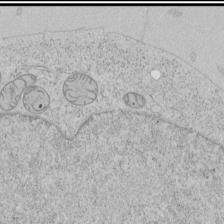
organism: Human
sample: Mitochondria in HCT116 cells